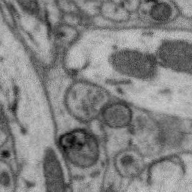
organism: Zebra finch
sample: Brain